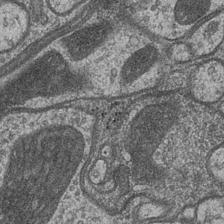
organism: Drosophila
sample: Optic medulla